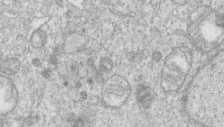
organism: Human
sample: HeLa cell HIV synapse